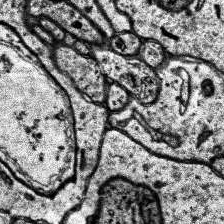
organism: Human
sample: Temporal Lobe